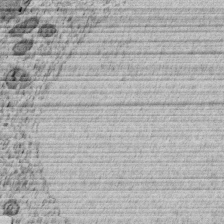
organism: C. elegans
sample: C. elegans embryo early stage